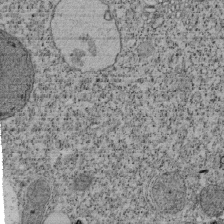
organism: Tetrahymena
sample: Cilia in tetrahymena